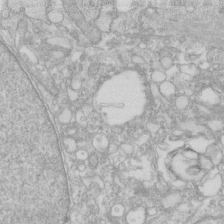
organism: Human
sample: Fibroblast cells